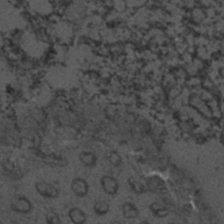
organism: C. elegans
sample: C. elegans embryo